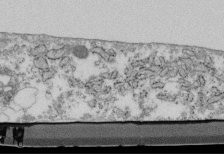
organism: Mouse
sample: Cilia; retinal pigment epithelium